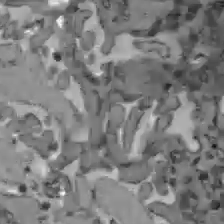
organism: C57BL Mouse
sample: Liver